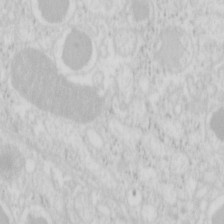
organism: Mouse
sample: Pancreas